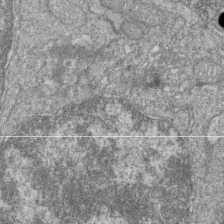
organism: Zebrafish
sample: Cilia; retinal pigment epithelium